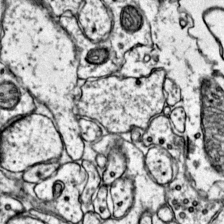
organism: Mouse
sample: Primary visual cortex